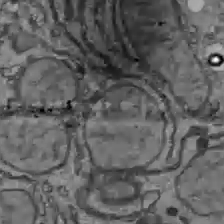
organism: C57BL Mouse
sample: Liver